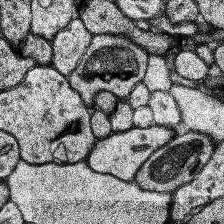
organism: Human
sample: Temporal Lobe